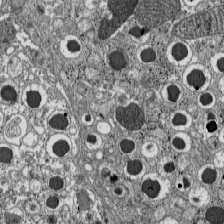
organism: C57BL Mouse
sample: Pancreatic islet